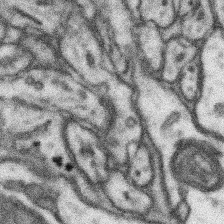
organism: Mouse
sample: Somatosensory cortex neuropil